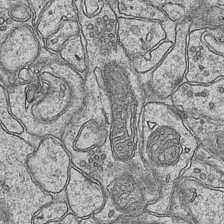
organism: Mouse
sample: CA1 Hippocampus